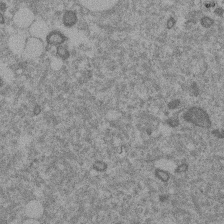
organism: Mouse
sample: Dividing mouse embryo 1 cell stage